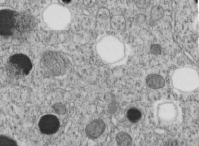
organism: C. elegans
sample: C. elegans embryo early stage